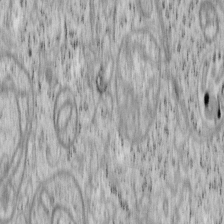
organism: Human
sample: HeLa cells